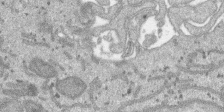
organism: Human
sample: Lung epithelial cells infected with SARS-CoV-2